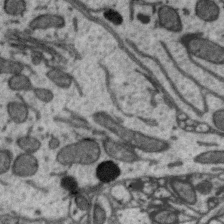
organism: Zebra finch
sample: Brain